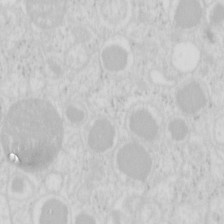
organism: Mouse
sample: Pancreas